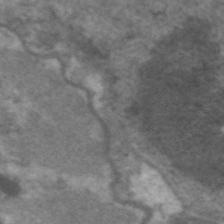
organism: C. elegans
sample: Pharynx